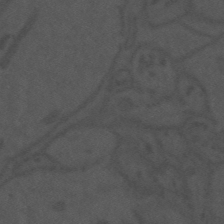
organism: Mouse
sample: Suprachiasmatic nucleus